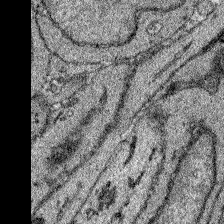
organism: Zebrafish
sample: Larval olfactory bulb